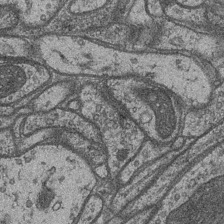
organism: Drosophila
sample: Optic medulla